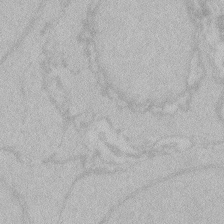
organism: Zebrafish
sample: Macrophage infected with Toxoplasma gondii